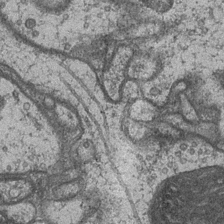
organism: Drosophila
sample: Optic medulla